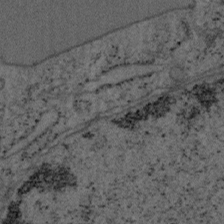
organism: Human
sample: HeLa cells